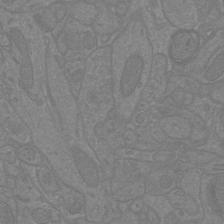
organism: Mouse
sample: Cortical neurons